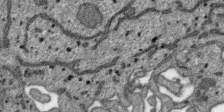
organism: Human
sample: Lung epithelial cells, uninfected (mock) control